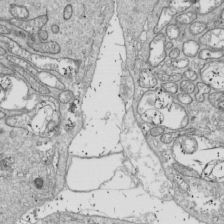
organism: Drosophila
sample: Cell division; meiosis; drosophila spermatocytes